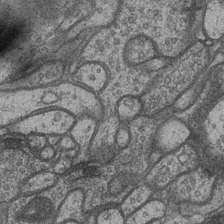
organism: Drosophila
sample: Optic medulla